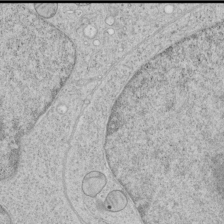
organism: Human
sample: Mitochondria in HCT116 cells